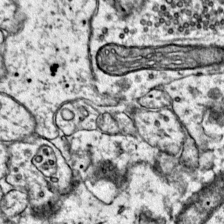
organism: Mouse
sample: Primary visual cortex